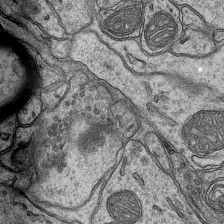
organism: Mouse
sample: CA1 Hippocampus